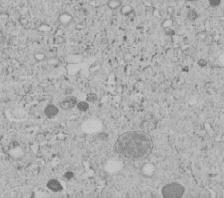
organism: C. elegans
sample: C. elegans embryo early stage